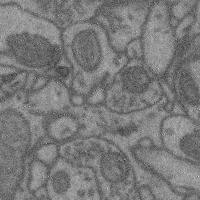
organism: Mouse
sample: Cerebral cortex